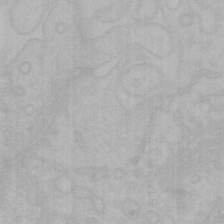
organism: Mouse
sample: Choroid plexus